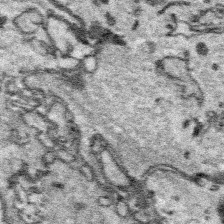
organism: Platynereis dumerilii